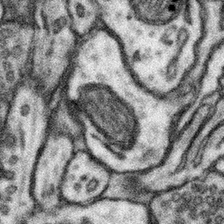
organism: Mouse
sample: Somatosensory cortex neuropil